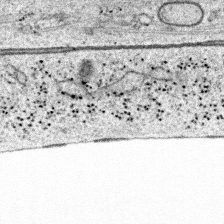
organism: Human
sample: HeLa cells